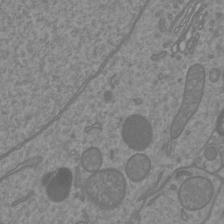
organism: Mouse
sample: Cortical neurons